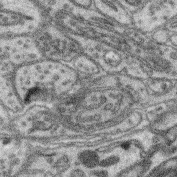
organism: Mouse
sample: Retina